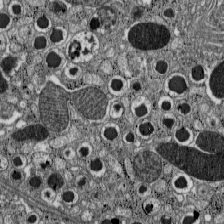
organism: C57BL Mouse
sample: Pancreatic islet